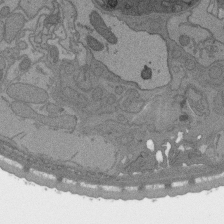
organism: C. elegans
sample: AFD neurons C. elegans